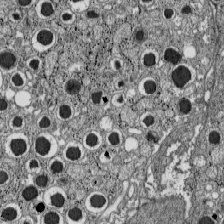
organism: C57BL Mouse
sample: Pancreatic islet